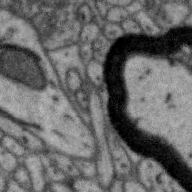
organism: Zebra finch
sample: Brain